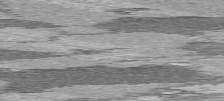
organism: C57BL Mouse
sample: Heart